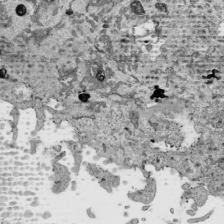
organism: Human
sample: Mitochondria in HCT116 cells